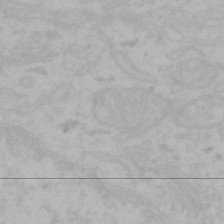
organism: Mouse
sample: Choroid plexus